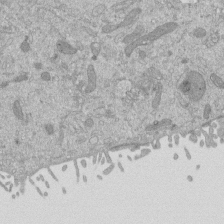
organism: Mouse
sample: ED-1 cell nuclei; centrioles